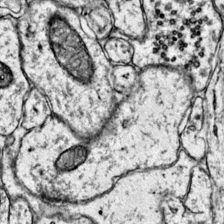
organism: Mouse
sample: Primary visual cortex